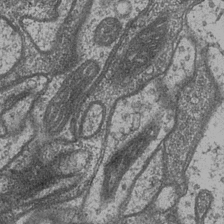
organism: Drosophila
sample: Optic medulla